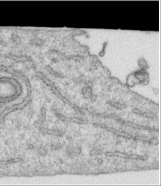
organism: Human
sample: Centriole in RPE cells